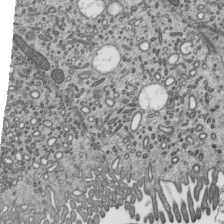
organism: Mouse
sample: Mouse epididymis efferent ductule cilia